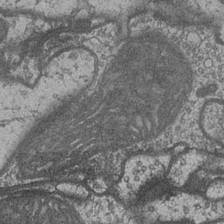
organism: Drosophila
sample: Optic medulla